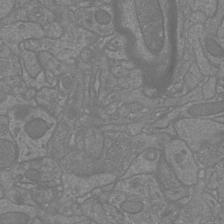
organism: Mouse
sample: Cortical neurons